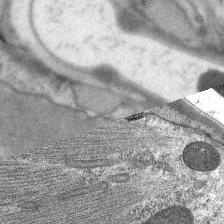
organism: C. elegans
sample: Pharynx